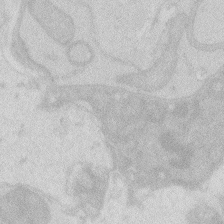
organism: Zebrafish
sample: Macrophage